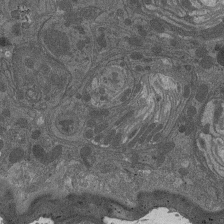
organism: Drosophila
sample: Antenna